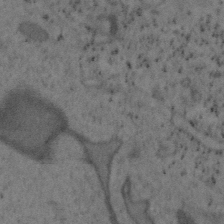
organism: Human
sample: HeLa cells